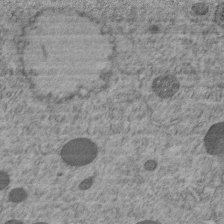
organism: C. elegans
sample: C. elegans embryo early stage